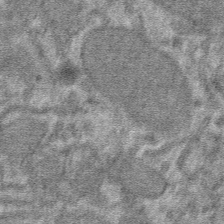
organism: Mouse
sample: Mouse hepatocytes